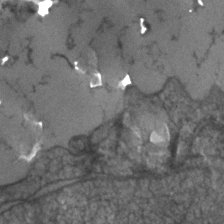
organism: Human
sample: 1205lu cells